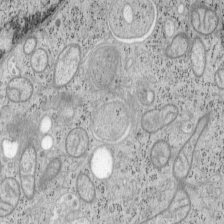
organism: Mouse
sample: OT-I killer T cells with ID8 ovarian cancer cells